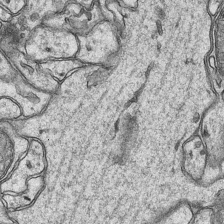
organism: Mouse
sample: CA1 Hippocampus